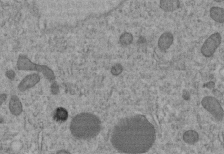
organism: C. elegans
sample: C. elegans embryo early stage